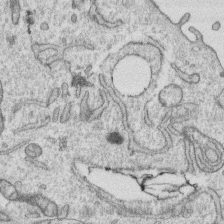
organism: Human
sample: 1205lu cells